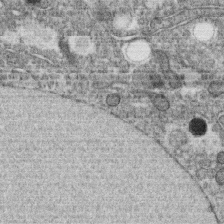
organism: C. elegans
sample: C. elegans oocyte; sperm cells